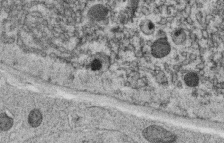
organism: C. elegans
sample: C. elegans oocyte; sperm cells